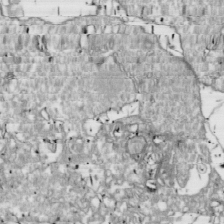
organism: Drosophila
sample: Cell division; meiosis; drosophila spermatocytes